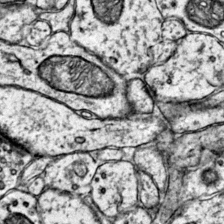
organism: Mouse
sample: Primary visual cortex